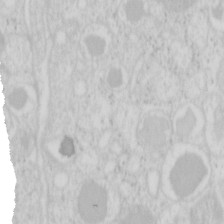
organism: Mouse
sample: Pancreas